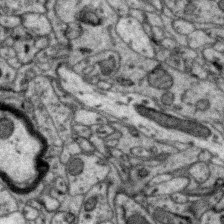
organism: Zebra finch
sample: Brain